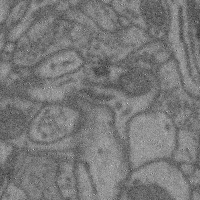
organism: Mouse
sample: Cerebral cortex